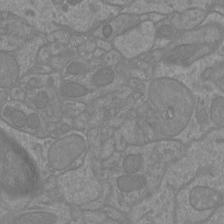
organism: Mouse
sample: Cortical neurons